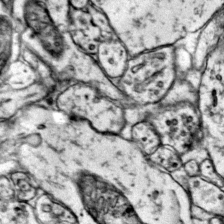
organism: Mouse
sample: Primary visual cortex